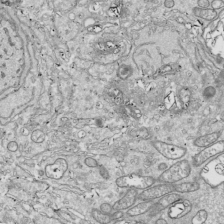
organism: Drosophila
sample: Cell division; meiosis; drosophila spermatocytes